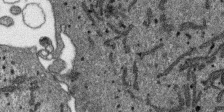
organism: Human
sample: Lung epithelial cells infected with SARS-CoV-2